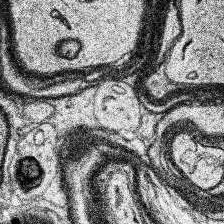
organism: Human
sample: Temporal Lobe